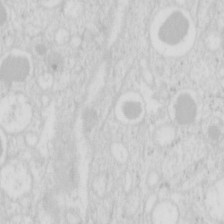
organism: Mouse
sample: Pancreas